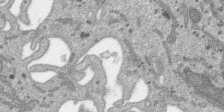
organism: Human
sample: Lung epithelial cells infected with SARS-CoV-2